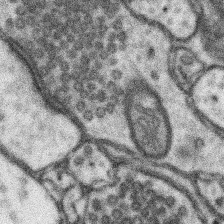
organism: Mouse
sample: Somatosensory cortex neuropil